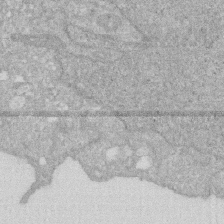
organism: Human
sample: HIV infected U937 cells